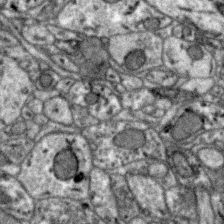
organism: Zebra finch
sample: Brain